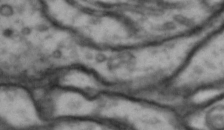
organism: Drosophila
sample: Brain